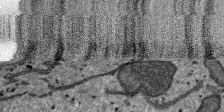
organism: Human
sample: Lung epithelial cells, uninfected (mock) control